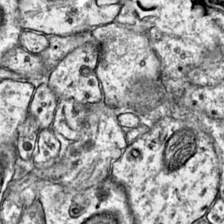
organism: Mouse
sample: Primary visual cortex